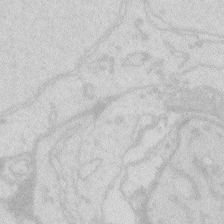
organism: Zebrafish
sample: Macrophage